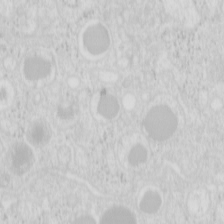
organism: Mouse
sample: Pancreas